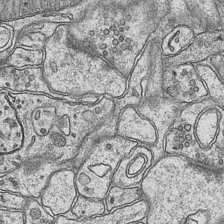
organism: Mouse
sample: CA1 Hippocampus